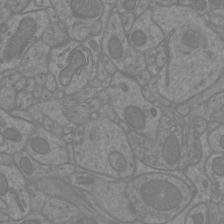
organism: Mouse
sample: Cortical neurons